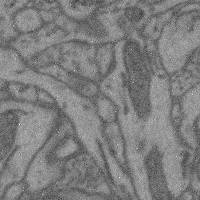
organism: Mouse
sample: Cerebral cortex